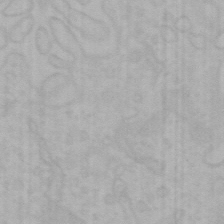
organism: Mouse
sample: Choroid plexus